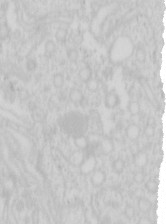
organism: Mouse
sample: Pancreas